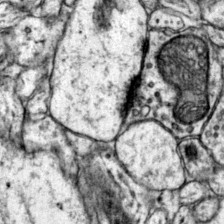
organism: Mouse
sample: Primary visual cortex